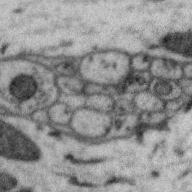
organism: Zebra finch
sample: Brain